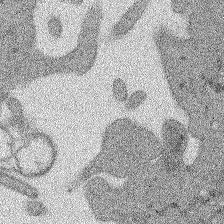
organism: Human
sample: HeLa cells